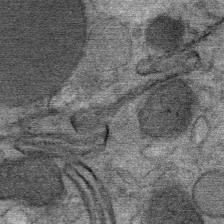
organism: Mouse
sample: Mouse Salivary gland